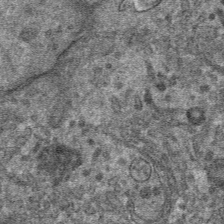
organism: Mouse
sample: Mouse hepatocytes